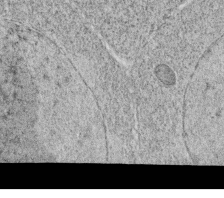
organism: C. elegans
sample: C. elegans oocyte; sperm cells